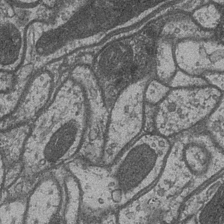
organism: Drosophila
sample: Optic medulla